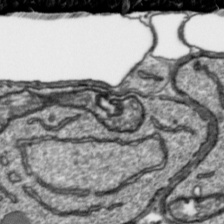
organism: Toxoplasma gondii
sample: Parasites in a vacuole inside a host cell